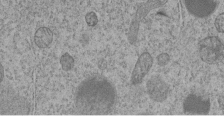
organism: C. elegans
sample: C. elegans embryo early stage